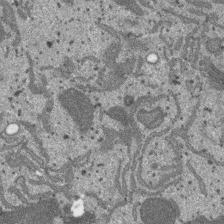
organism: Human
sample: Lung epithelial cells infected with SARS-CoV-2